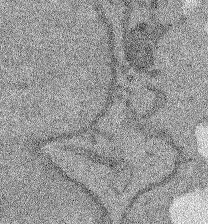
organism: Human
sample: HeLa cells